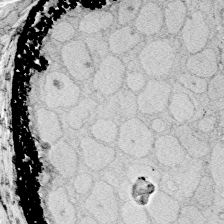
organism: Zebrafish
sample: Whole-Brain